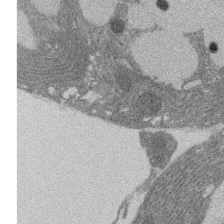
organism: Rat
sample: Salivary granule